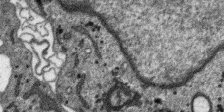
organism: Human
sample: Lung epithelial cells infected with SARS-CoV-2